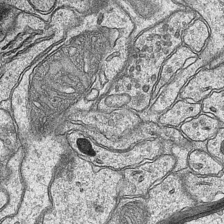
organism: Mouse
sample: CA1 Hippocampus